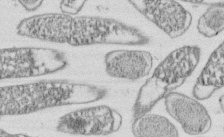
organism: E. coli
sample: Bacterial nucleoid